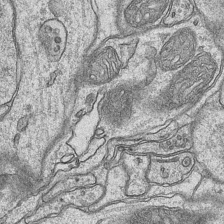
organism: Mouse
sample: CA1 Hippocampus